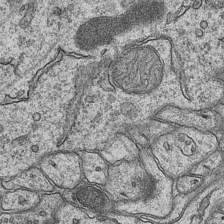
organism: Mouse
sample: CA1 Hippocampus